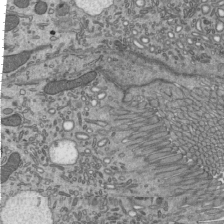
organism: Mouse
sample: Mouse epididymis efferent ductule cilia